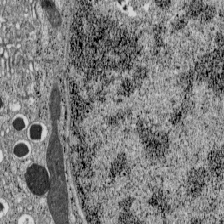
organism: C57BL Mouse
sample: Pancreatic islet